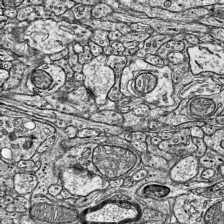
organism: Mouse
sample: Visual Cortex